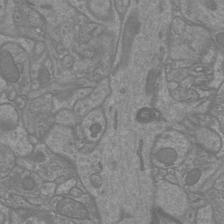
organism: Mouse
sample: Cortical neurons